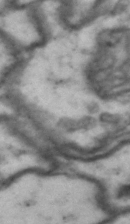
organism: Drosophila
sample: Brain